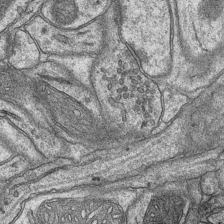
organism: Mouse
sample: CA1 Hippocampus